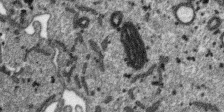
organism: Human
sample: Lung epithelial cells infected with SARS-CoV-2